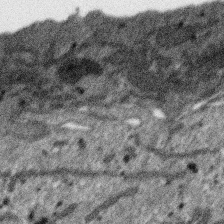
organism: Human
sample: Lung epithelial cells infected with SARS-CoV-2